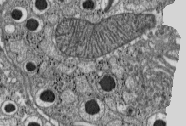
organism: C57BL Mouse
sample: Pancreatic islet